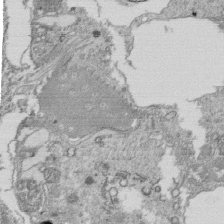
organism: Tetrahymena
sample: Cilia in tetrahymena